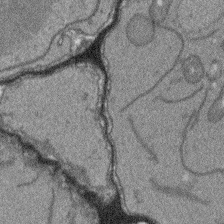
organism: Arabidopsis thaliana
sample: Root tip